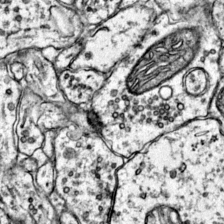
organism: Mouse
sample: Primary visual cortex